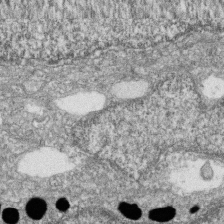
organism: Zebrafish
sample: Cilia; retinal pigment epithelium